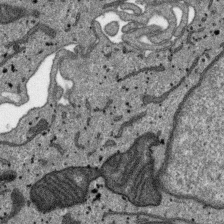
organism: Human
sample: Lung epithelial cells, uninfected (mock) control